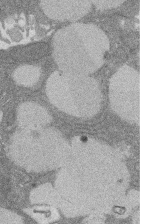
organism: Rat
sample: Salivary granule